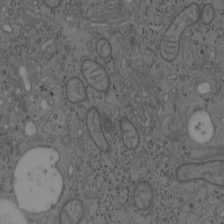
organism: Mouse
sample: OT-I killer T cells with ID8 ovarian cancer cells